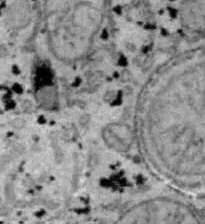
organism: Mouse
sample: Liver from an obese (ob/ob) mouse